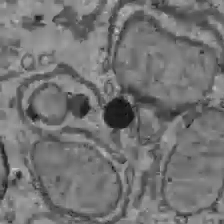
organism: C57BL Mouse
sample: Liver